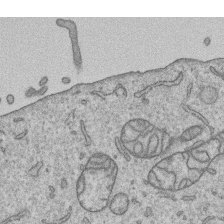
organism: Human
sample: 1205lu cells